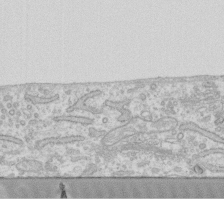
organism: Human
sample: Fibroblast cells